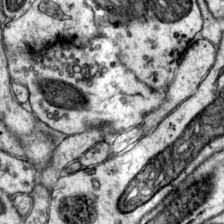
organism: Mouse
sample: Primary visual cortex